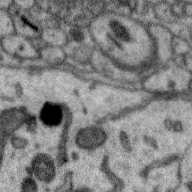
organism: Zebra finch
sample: Brain